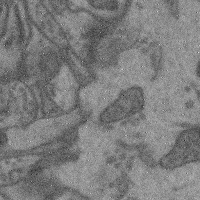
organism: Mouse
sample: Cerebral cortex